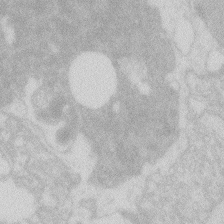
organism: Zebrafish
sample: Macrophage